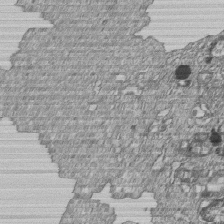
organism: Human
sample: MDA-MB-231 cells